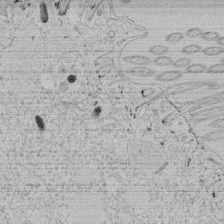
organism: Tetrahymena